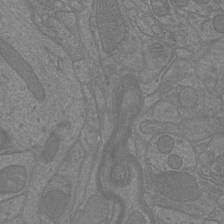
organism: Mouse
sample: Cortical neurons